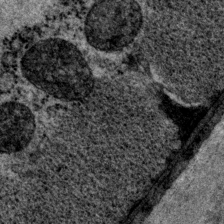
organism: P. pacificus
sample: Pharynx